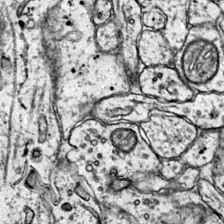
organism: Mouse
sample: Primary visual cortex